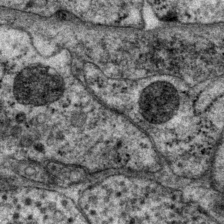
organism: P. pacificus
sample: Pharynx